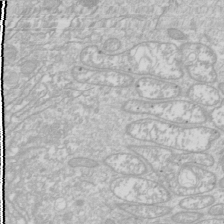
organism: Drosophila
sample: Cell division; meiosis; drosophila spermatocytes